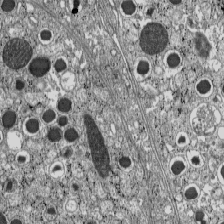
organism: C57BL Mouse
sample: Pancreatic islet